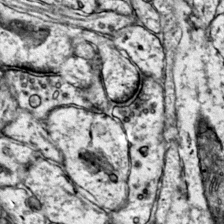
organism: Mouse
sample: Primary visual cortex